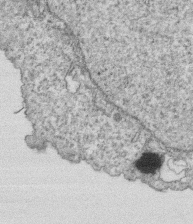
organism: Human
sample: HeLa cell HIV synapse